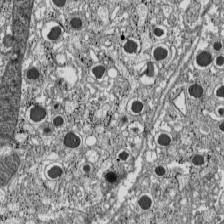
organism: C57BL Mouse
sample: Pancreatic islet